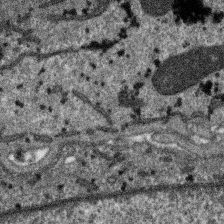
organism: Human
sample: Lung epithelial cells infected with SARS-CoV-2